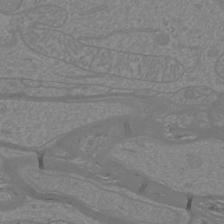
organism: Mouse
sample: Cortical neurons